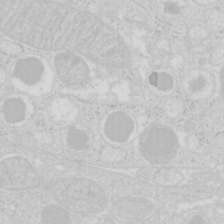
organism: Mouse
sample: Pancreas